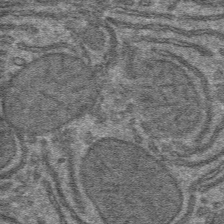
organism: Mouse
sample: Mouse hepatocytes